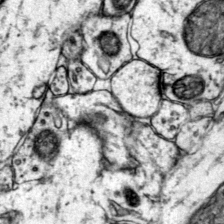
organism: Mouse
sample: Primary visual cortex